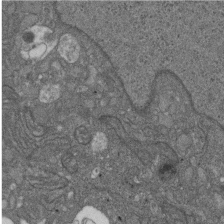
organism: Drosophila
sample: Nephrocyte